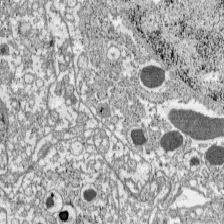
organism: C57BL Mouse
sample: Pancreatic islet